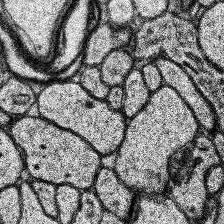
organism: Human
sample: Temporal Lobe